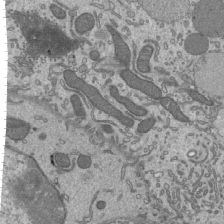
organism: Mouse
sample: Mouse epididymis efferent ductule cilia